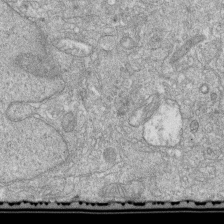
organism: Human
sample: HeLa cell HIV synapse